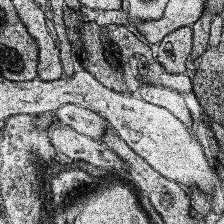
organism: Human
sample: Temporal Lobe